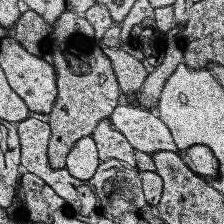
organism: Human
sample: Temporal Lobe